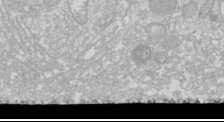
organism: Drosophila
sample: Cell division; meiosis; drosophila spermatocytes